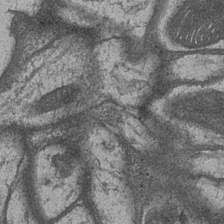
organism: Drosophila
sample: Optic medulla